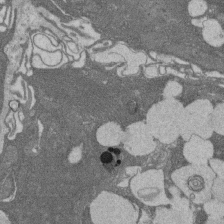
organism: Rat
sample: Salivary granule